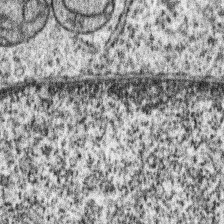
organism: Human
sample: HeLa cells